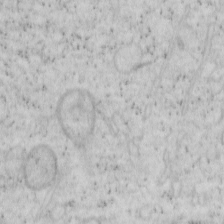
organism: Human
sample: HeLa cells